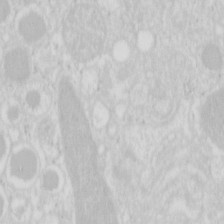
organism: Mouse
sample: Pancreas